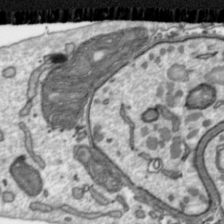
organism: Toxoplasma gondii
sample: Parasites in a vacuole inside a host cell